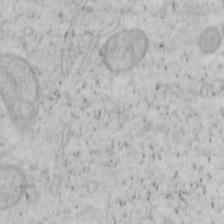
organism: Human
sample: HeLa cells